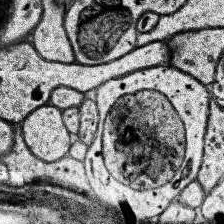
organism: Human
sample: Temporal Lobe